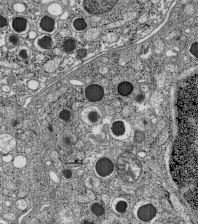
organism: C57BL Mouse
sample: Pancreatic islet